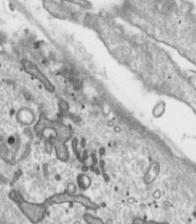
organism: Toxoplasma gondii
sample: Parasites in a vacuole inside a host cell